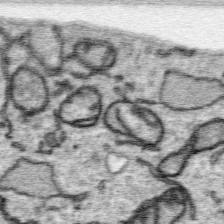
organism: Human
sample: HeLa cells